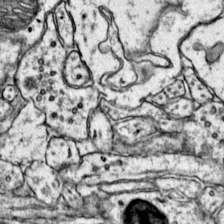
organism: Mouse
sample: Primary visual cortex